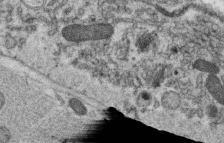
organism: C. elegans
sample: C. elegans oocyte; sperm cells